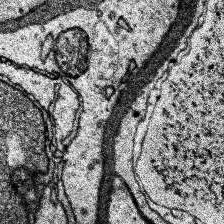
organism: Human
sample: Temporal Lobe